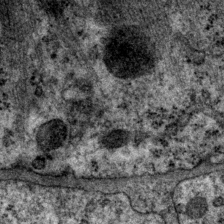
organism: P. pacificus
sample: Pharynx